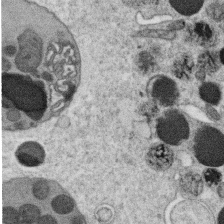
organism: C. elegans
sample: C. elegans oocyte; sperm cells